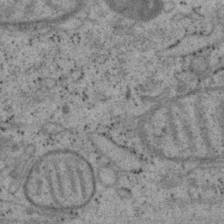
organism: Human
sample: HeLa cells